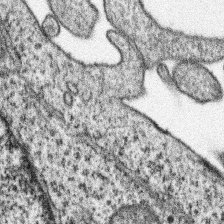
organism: Human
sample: HeLa cells